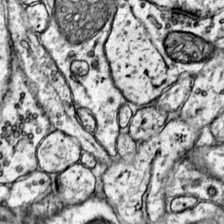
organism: Mouse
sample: Primary visual cortex